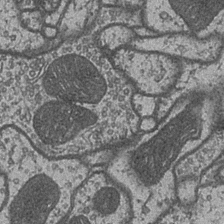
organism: Drosophila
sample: Optic medulla